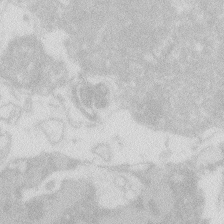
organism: Zebrafish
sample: Macrophage